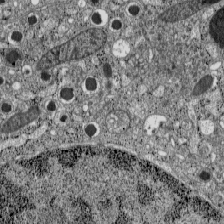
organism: C57BL Mouse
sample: Pancreatic islet